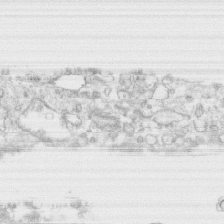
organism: Human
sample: CRL-1474